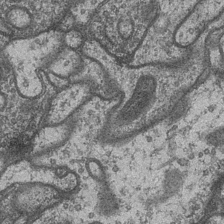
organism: Drosophila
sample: Optic medulla